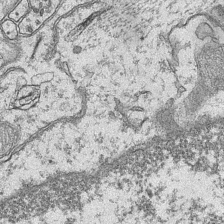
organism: Mouse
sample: CA1 Hippocampus